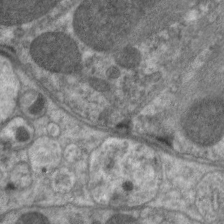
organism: C. elegans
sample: Pharynx